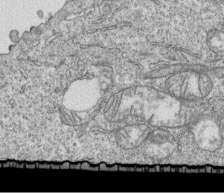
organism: Human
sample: HeLa cell HIV synapse